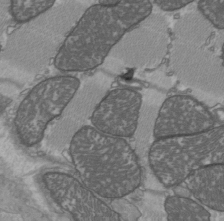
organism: C57BL Mouse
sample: Heart